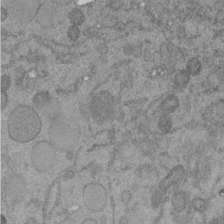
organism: C. elegans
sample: C. elegans embryo early stage